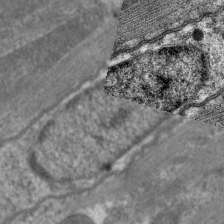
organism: C. elegans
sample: Pharynx